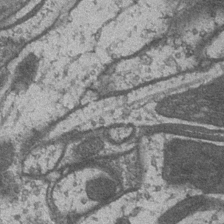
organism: Drosophila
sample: Optic medulla